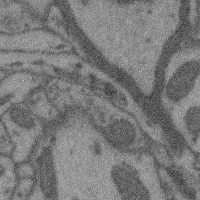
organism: Mouse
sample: Cerebral cortex